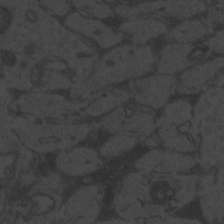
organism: Zebrafish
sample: Macrophage infected with Toxoplasma gondii